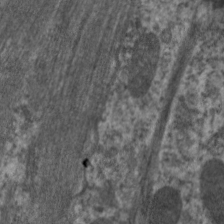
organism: C. elegans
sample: Pharynx